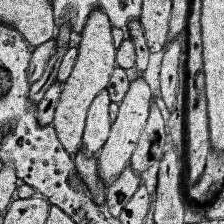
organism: Human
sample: Temporal Lobe